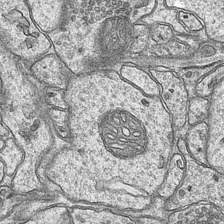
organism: Mouse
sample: CA1 Hippocampus